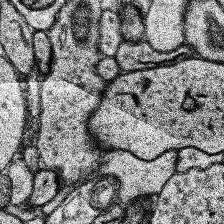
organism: Human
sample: Temporal Lobe